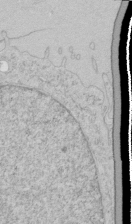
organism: Human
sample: Mitochondria in HCT116 cells